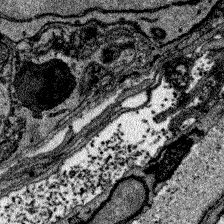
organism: Zebrafish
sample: Larval olfactory bulb